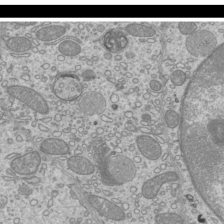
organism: Mouse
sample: Cilia; mouse epididymis